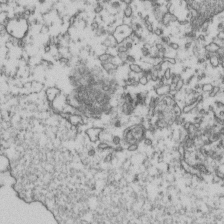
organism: Human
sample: Activated Jurkat CD4+ T cells